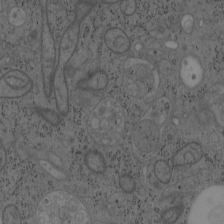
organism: Mouse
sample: OT-I killer T cells with ID8 ovarian cancer cells